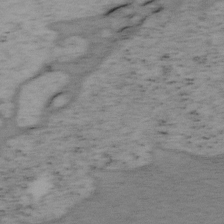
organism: Mouse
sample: OT-I killer T cells with ID8 ovarian cancer cells